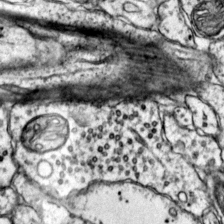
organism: Mouse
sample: Primary visual cortex